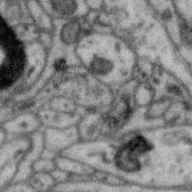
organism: Zebra finch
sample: Brain